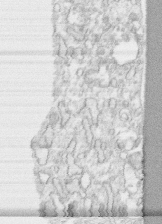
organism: Human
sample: CRL-1474